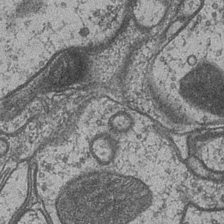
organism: Drosophila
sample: Optic medulla